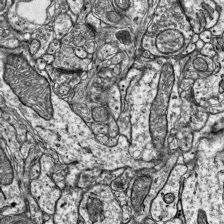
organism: Mouse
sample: Visual Cortex